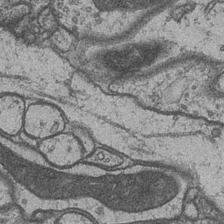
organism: Drosophila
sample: Optic medulla